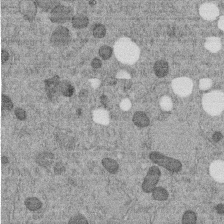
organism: C. elegans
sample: C. elegans embryo early stage